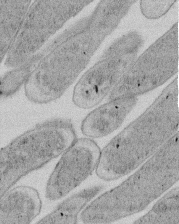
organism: E. coli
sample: Bacterial nucleoid